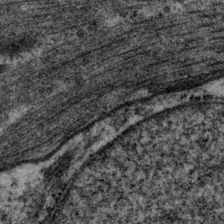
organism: P. pacificus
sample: Pharynx